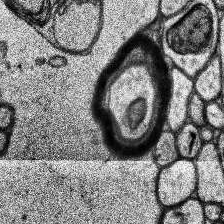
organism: Human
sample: Temporal Lobe